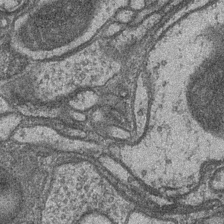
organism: Drosophila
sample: Optic medulla